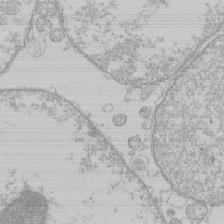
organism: Human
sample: Macrophage cells